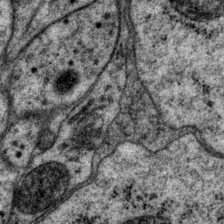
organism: P. pacificus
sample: Pharynx